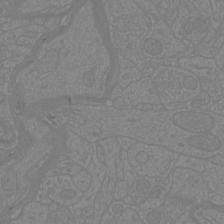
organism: Mouse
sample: Cortical neurons